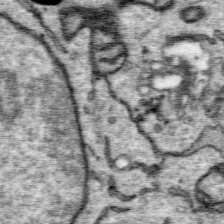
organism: Human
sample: HeLa cells